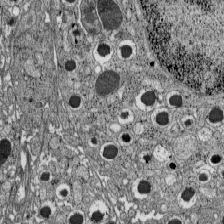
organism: C57BL Mouse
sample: Pancreatic islet